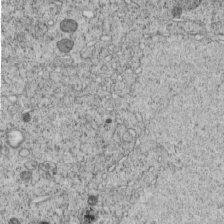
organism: C. elegans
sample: C. elegans embryo early stage